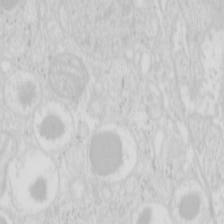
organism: Mouse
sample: Pancreas